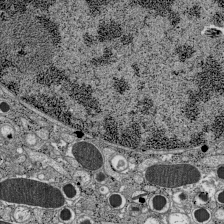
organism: C57BL Mouse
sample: Pancreatic islet